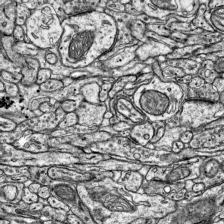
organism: Mouse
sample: Visual Cortex